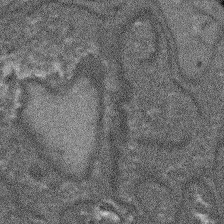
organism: Arabidopsis thaliana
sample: Root tip